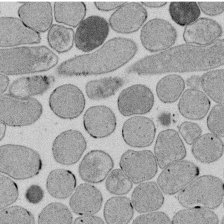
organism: E. coli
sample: Bacterial nucleoid